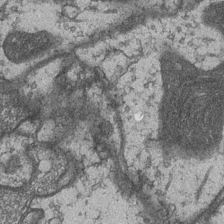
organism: Drosophila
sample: Optic medulla